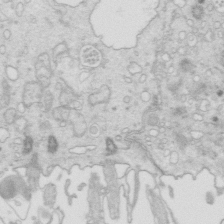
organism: Mouse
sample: Multiciliated cells